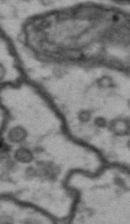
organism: Drosophila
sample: Brain